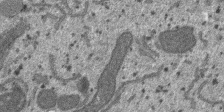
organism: Human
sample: Lung epithelial cells infected with SARS-CoV-2